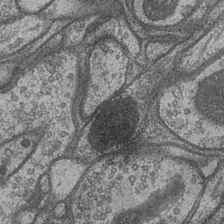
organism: Drosophila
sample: Optic medulla